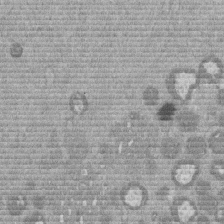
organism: Mouse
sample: Dividing mouse embryo 1 cell stage